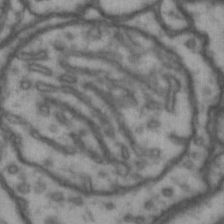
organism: Drosophila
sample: Brain